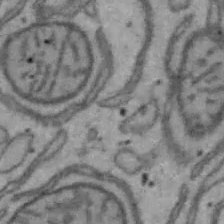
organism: Mouse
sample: Liver